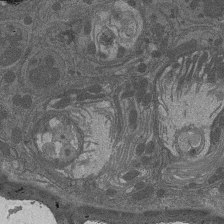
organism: Drosophila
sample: Antenna